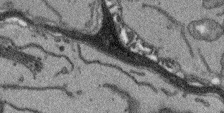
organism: Arabidopsis thaliana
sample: Root tip